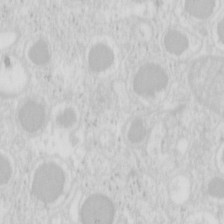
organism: Mouse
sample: Pancreas